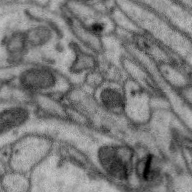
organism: Zebra finch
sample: Brain